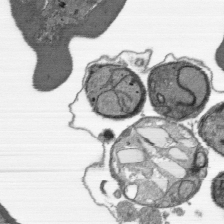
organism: Plasmodium falciparum